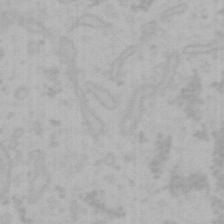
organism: Mouse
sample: Choroid plexus